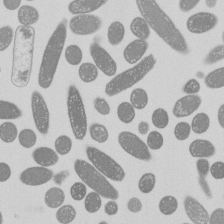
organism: E. coli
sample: Bacterial nucleoid